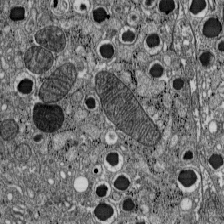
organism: C57BL Mouse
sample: Pancreatic islet